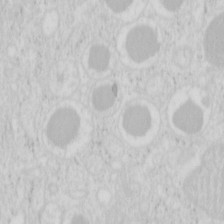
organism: Mouse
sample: Pancreas